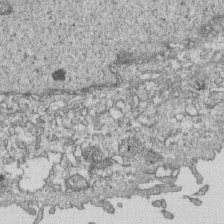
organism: Human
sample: HeLa cell HIV synapse